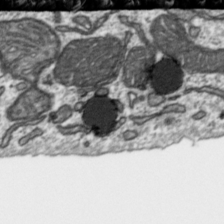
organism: Toxoplasma gondii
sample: Parasites in a vacuole inside a host cell